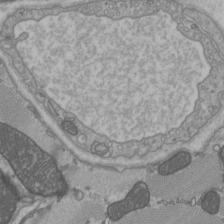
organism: C57BL Mouse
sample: Heart